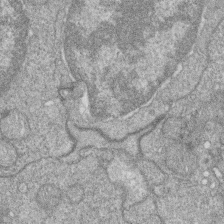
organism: Zebrafish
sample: Cilia; retinal pigment epithelium